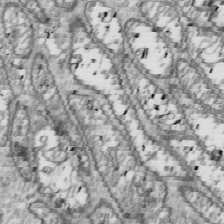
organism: Drosophila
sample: Cell division; meiosis; drosophila spermatocytes